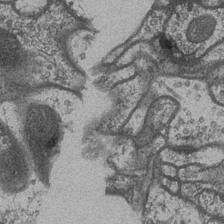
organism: Drosophila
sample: Optic medulla